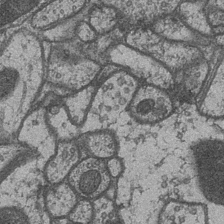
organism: Drosophila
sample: Optic medulla